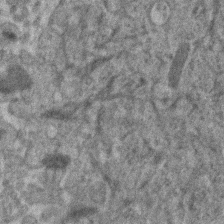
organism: Human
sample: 1205lu cells